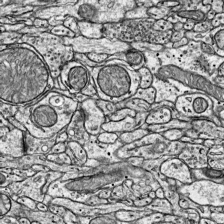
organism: Mouse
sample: Visual Cortex